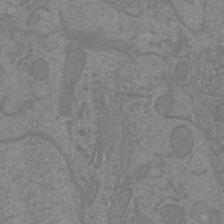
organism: Mouse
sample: Cortical neurons